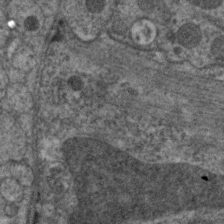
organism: C. elegans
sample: Pharynx